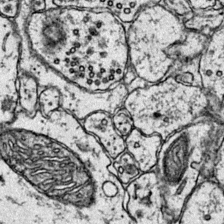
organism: Mouse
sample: Primary visual cortex